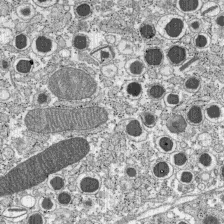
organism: C57BL Mouse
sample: Pancreatic islet